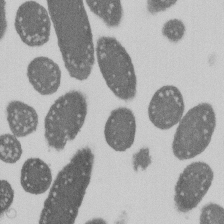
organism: E. coli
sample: Bacterial nucleoid